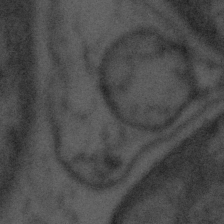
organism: Tuwongella immobilis